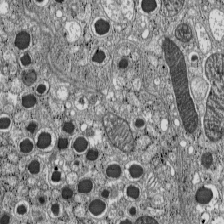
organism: C57BL Mouse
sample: Pancreatic islet